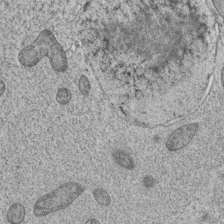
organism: C. elegans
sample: C. elegans oocyte; sperm cells